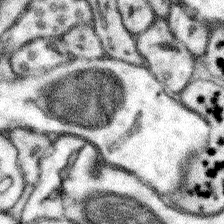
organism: Mouse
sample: Somatosensory cortex neuropil